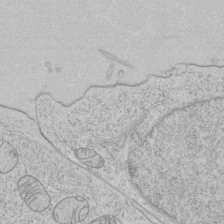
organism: Human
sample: Mitochondria in HCT116 cells